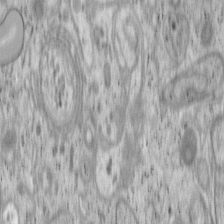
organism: Human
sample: HeLa cells